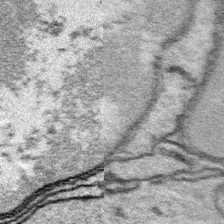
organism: Platynereis dumerilii